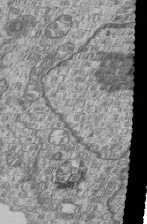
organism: Human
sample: MDA-MB-231 cells